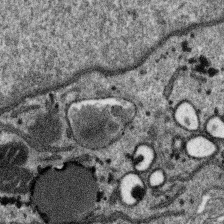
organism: Human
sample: Lung epithelial cells infected with SARS-CoV-2